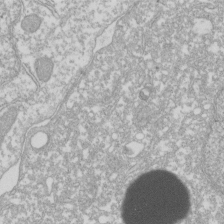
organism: Xenopus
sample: Cilia; centrioles in frog embryo cells